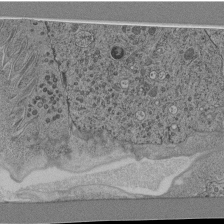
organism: C. elegans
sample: C. elegans pharynx